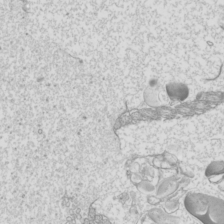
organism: Mouse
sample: Cilia; mouse epididymis